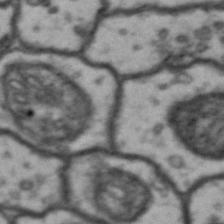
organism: Drosophila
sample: Brain